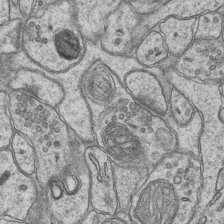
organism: Mouse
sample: CA1 Hippocampus